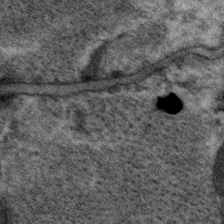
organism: P. pacificus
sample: Pharynx